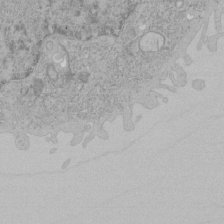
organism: Human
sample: Mitochondria in HCT116 cells